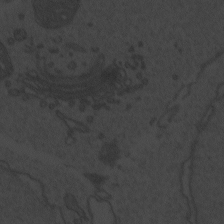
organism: Zebrafish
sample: Macrophage infected with Toxoplasma gondii